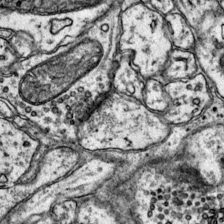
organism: Mouse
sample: Primary visual cortex